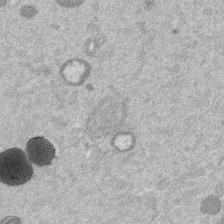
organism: Mouse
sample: Dividing mouse embryo 1 cell stage